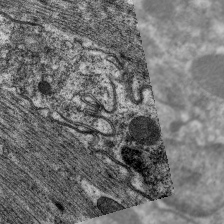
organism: C. elegans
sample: Pharynx